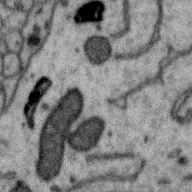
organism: Zebra finch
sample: Brain